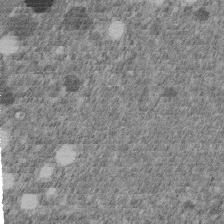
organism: C. elegans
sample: C. elegans embryo early stage